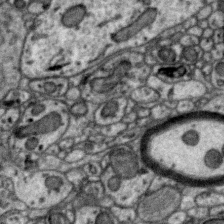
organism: Zebra finch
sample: Brain